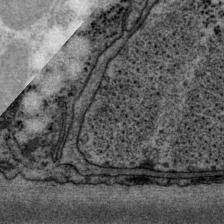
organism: P. pacificus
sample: Pharynx